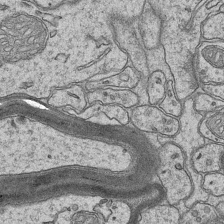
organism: Mouse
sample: CA1 Hippocampus